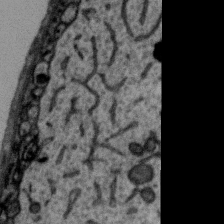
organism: Zebra finch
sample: Brain